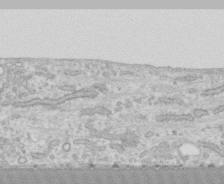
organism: Human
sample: CRL-1474